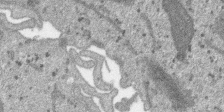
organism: Human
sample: Lung epithelial cells infected with SARS-CoV-2